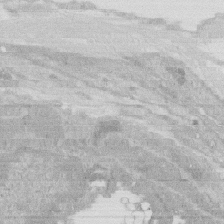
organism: Rat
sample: Salivary granule